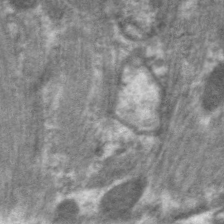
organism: C. elegans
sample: Pharynx